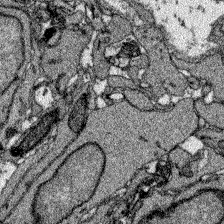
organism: Zebrafish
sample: Larval olfactory bulb